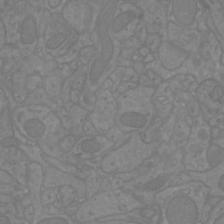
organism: Mouse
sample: Cortical neurons